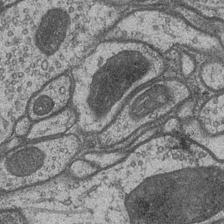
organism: Drosophila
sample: Optic medulla